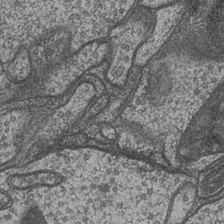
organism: Drosophila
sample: Optic medulla